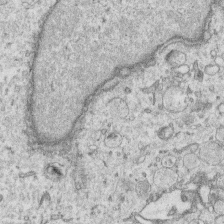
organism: Human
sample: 1205lu cells